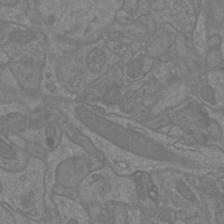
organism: Mouse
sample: Cortical neurons